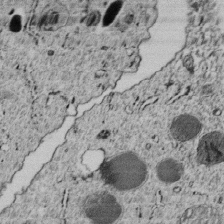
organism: C. elegans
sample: C. elegans embryo early stage